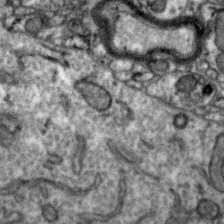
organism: Zebra finch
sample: Brain